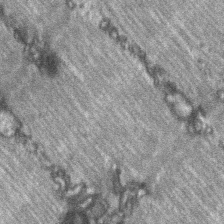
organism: C57BL Mouse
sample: Soleus